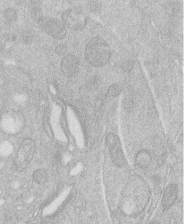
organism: Human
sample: Macrophage cells